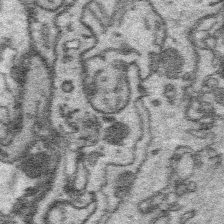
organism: Platynereis dumerilii